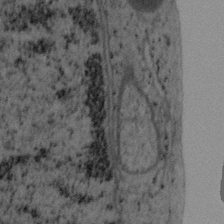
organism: Human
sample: HeLa cells